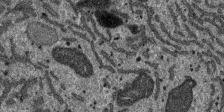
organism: Human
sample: Lung epithelial cells infected with SARS-CoV-2